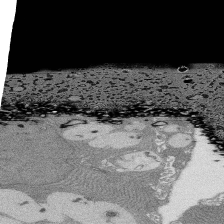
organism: Rat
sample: Salivary granule